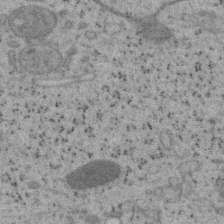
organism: Human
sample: HeLa cells